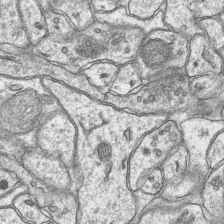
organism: Mouse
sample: CA1 Hippocampus